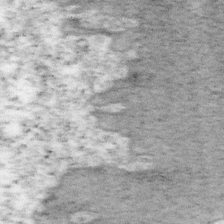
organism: Mouse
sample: OT-I killer T cells with ID8 ovarian cancer cells